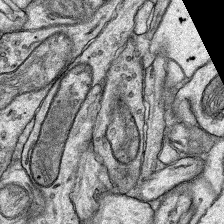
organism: Rat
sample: Hippocampus